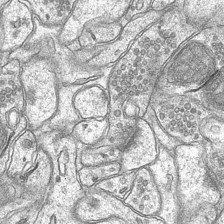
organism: Mouse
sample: CA1 Hippocampus